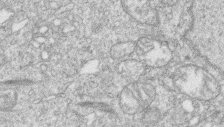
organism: Human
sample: HeLa cell HIV synapse